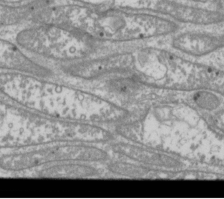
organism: Drosophila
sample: Cell division; meiosis; drosophila spermatocytes